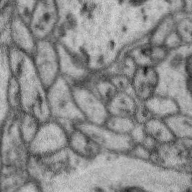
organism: Zebra finch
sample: Brain